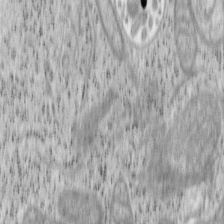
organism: Human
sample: HeLa cells